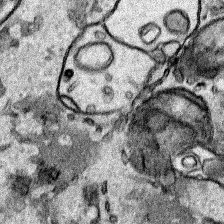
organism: Human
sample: Mitochondria in HCT116 cells